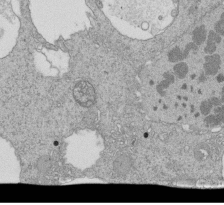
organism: Tetrahymena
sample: Cilia in tetrahymena